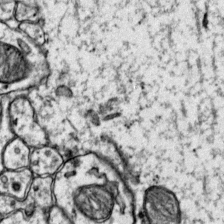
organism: Mouse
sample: Primary visual cortex